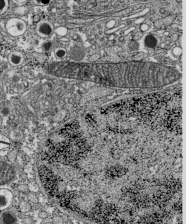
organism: C57BL Mouse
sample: Pancreatic islet